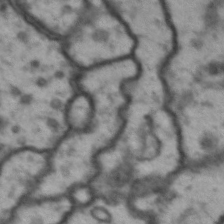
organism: Drosophila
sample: Brain